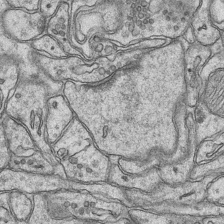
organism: Mouse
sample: CA1 Hippocampus